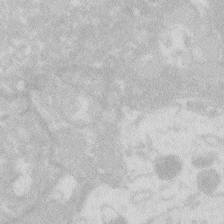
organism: Zebrafish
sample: Macrophage